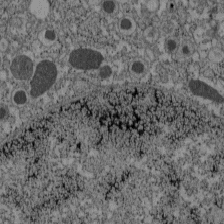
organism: C57BL Mouse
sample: Pancreatic islet